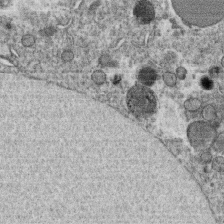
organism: C. elegans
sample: C. elegans oocyte; sperm cells